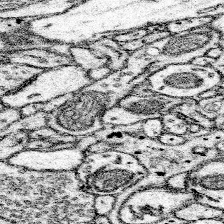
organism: Mouse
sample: Somatosensory cortex neuropil